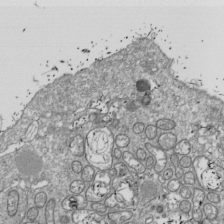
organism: Drosophila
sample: Cell division; meiosis; drosophila spermatocytes